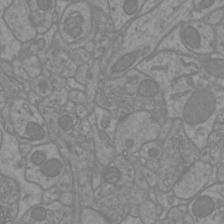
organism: Mouse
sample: Cortical neurons